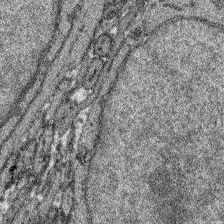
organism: Zebrafish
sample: Larval olfactory bulb